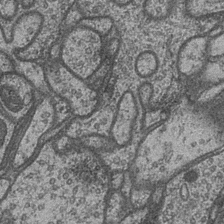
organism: Drosophila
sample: Optic medulla